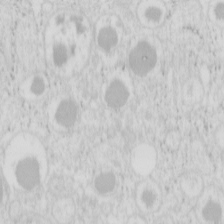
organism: Mouse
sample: Pancreas